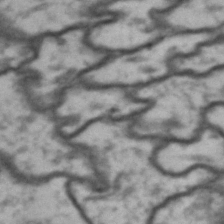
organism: Drosophila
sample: Brain